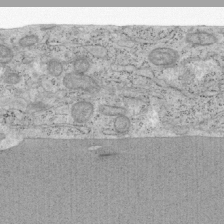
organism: Human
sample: HeLa cells